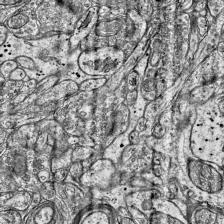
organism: Mouse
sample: Visual Cortex